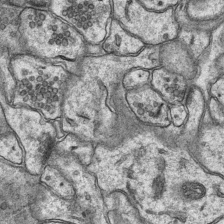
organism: Mouse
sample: CA1 Hippocampus